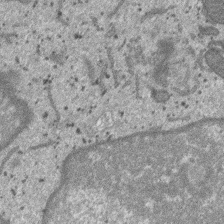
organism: Human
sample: Lung epithelial cells infected with SARS-CoV-2